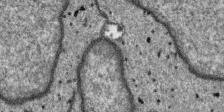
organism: Human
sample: Lung epithelial cells, uninfected (mock) control